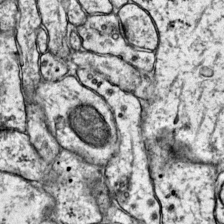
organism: Mouse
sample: Primary visual cortex